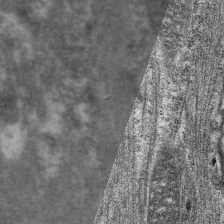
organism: C. elegans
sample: Pharynx